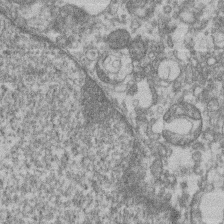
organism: Mouse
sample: T cell stromal cell synapse